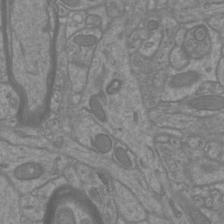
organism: Mouse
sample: Cortical neurons